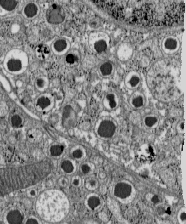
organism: C57BL Mouse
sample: Pancreatic islet